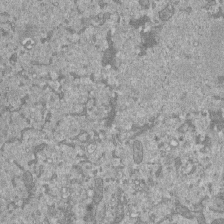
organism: Mouse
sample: ED-1 cell nuclei; centrioles